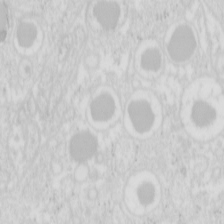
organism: Mouse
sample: Pancreas